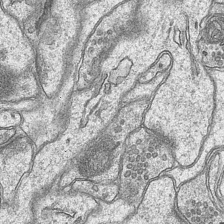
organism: Mouse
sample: CA1 Hippocampus